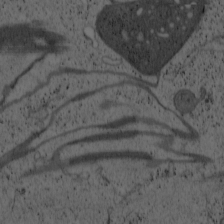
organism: African green monkey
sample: COS-7 cells